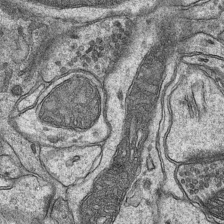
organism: Mouse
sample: CA1 Hippocampus